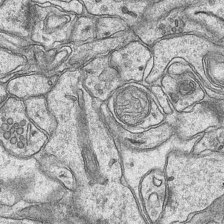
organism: Mouse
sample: CA1 Hippocampus